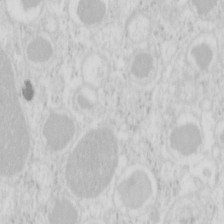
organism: Mouse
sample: Pancreas